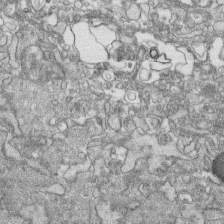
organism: Human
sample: CRL-1474